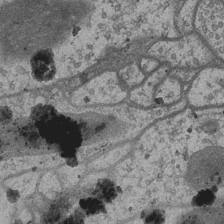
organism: Drosophila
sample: Optic medulla